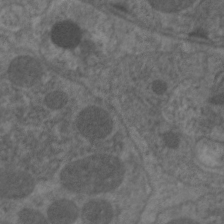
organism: C. elegans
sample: Pharynx